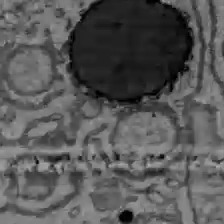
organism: C57BL Mouse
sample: Liver